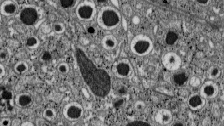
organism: C57BL Mouse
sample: Pancreatic islet